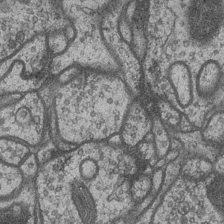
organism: Drosophila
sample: Optic medulla